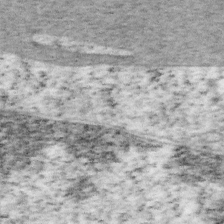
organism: Mouse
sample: OT-I killer T cells with ID8 ovarian cancer cells